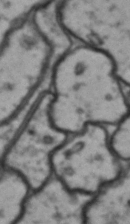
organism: Drosophila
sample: Brain